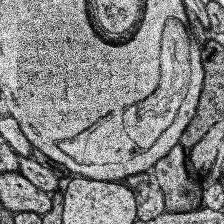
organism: Human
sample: Temporal Lobe